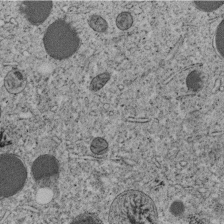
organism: C. elegans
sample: C. elegans embryo early stage